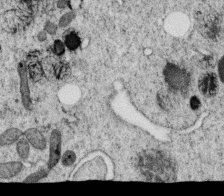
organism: C. elegans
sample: C. elegans oocyte; sperm cells